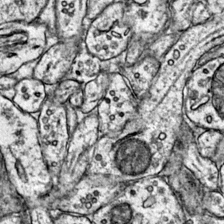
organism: Mouse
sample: Primary visual cortex